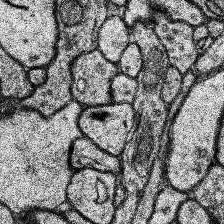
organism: Human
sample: Temporal Lobe